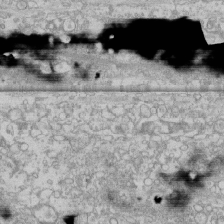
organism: Human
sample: CRL-1474